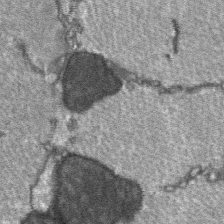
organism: C57BL Mouse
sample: Soleus